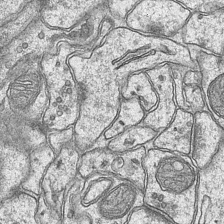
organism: Mouse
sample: CA1 Hippocampus